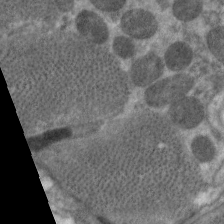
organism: C. elegans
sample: Pharynx